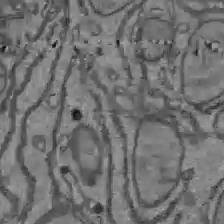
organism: C57BL Mouse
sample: Liver